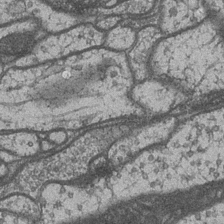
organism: Drosophila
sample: Optic medulla